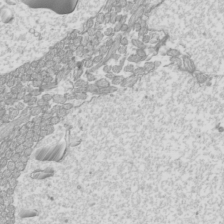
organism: Mouse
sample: Cilia; mouse epididymis